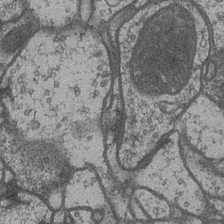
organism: Drosophila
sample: Optic medulla